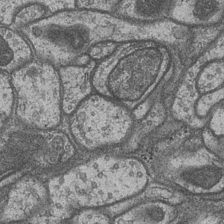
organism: Drosophila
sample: Optic medulla